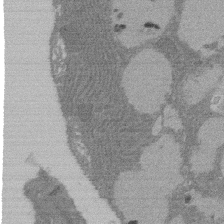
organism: Rat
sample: Salivary granule